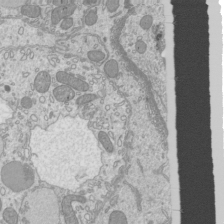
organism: Mouse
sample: Cilia; mouse epididymis